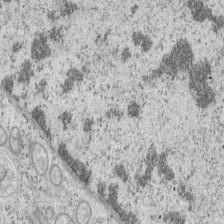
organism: Mouse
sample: OT-I killer T cells with ID8 ovarian cancer cells